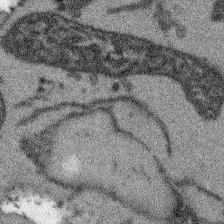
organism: Arabidopsis thaliana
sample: Root tip